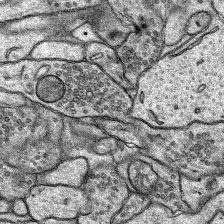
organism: Rat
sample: Hippocampus